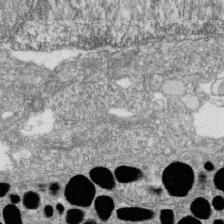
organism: Zebrafish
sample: Cilia; retinal pigment epithelium